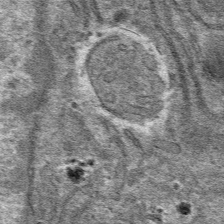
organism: Mouse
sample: Mouse hepatocytes